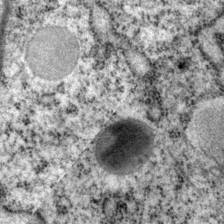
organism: P. pacificus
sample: Pharynx